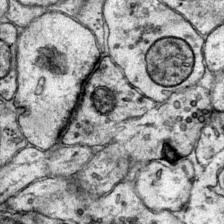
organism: Mouse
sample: Primary visual cortex